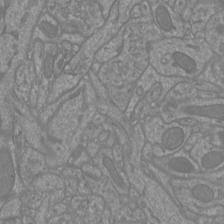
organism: Mouse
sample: Cortical neurons